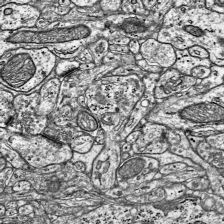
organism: Mouse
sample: Visual Cortex